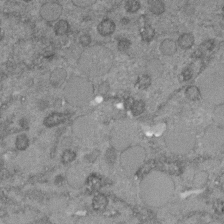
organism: C. elegans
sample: C. elegans embryo early stage